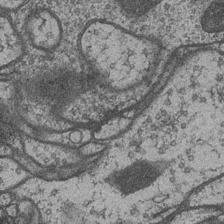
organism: Drosophila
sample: Optic medulla